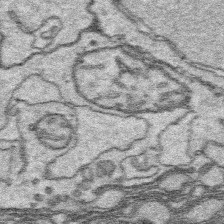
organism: Platynereis dumerilii